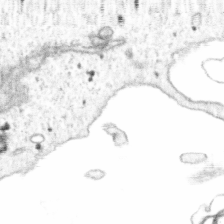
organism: Human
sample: HeLa cells